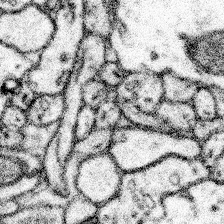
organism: Mouse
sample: Somatosensory cortex neuropil